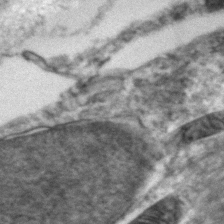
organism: Zebrafish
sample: Zebrafish embryo